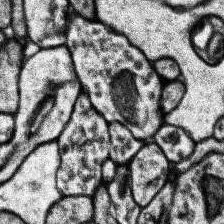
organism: Human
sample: Temporal Lobe